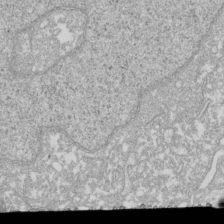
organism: Xenopus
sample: Cilia; centrioles in frog embryo cells